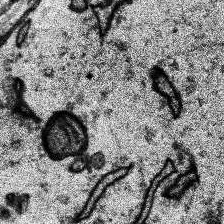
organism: Human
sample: Temporal Lobe